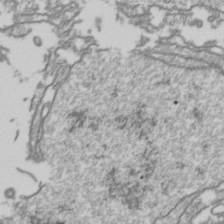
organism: Drosophila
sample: Cell division; meiosis; drosophila spermatocytes